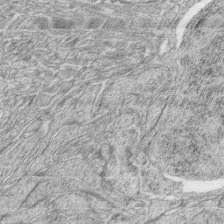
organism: Zebrafish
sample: synaptic ribbons in rod cells and cone cells